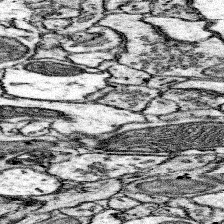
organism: Mouse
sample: Somatosensory cortex neuropil